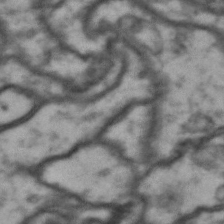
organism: Drosophila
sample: Brain